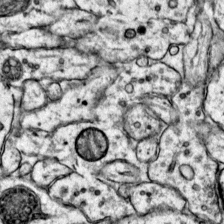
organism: Mouse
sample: Primary visual cortex